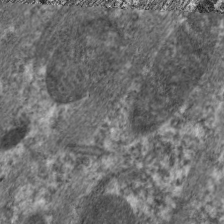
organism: C. elegans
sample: Pharynx